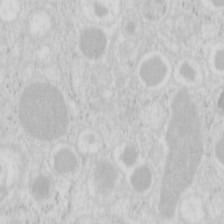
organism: Mouse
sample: Pancreas